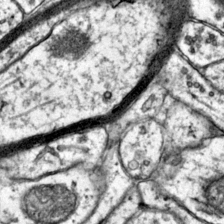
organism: Mouse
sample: Primary visual cortex